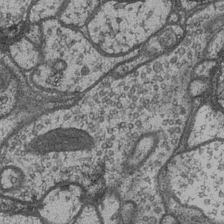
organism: Drosophila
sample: Optic medulla